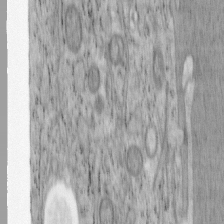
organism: Human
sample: HeLa cells